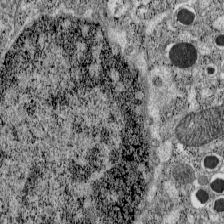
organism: C57BL Mouse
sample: Pancreatic islet